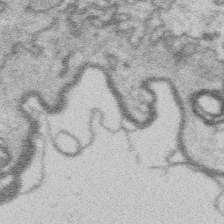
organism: Platynereis dumerilii